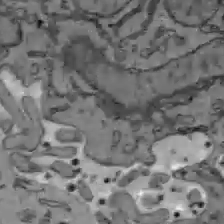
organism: C57BL Mouse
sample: Liver